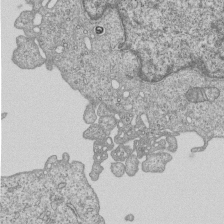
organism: Human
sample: MDA-MB-231 cells